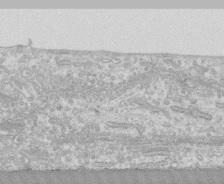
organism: Human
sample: CRL-1474